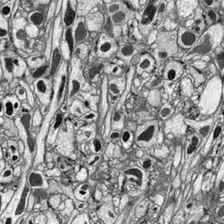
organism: Drosophila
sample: Optic lobe